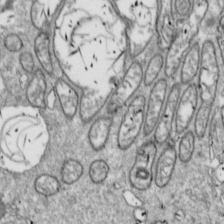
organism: Drosophila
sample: Cell division; meiosis; drosophila spermatocytes